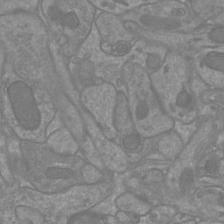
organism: Mouse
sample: Cortical neurons